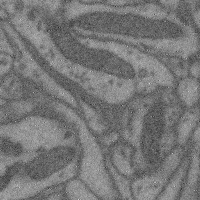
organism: Mouse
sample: Cerebral cortex